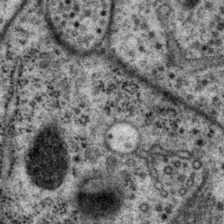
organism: P. pacificus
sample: Pharynx